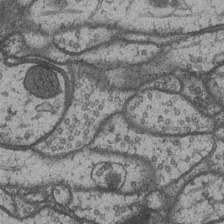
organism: Drosophila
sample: Optic medulla